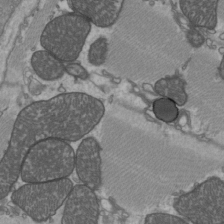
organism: C57BL Mouse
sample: Heart